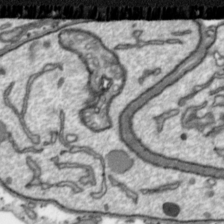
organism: Toxoplasma gondii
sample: Parasites in a vacuole inside a host cell